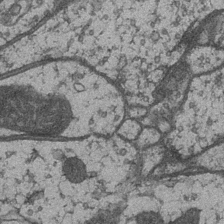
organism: Drosophila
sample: Optic medulla